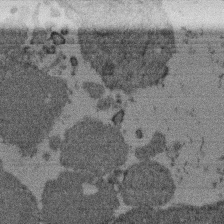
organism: Mouse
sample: Dividing mouse embryo 1 cell stage